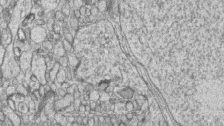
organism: Zebrafish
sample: synaptic ribbons in rod cells and cone cells